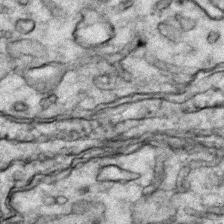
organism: Zebrafish